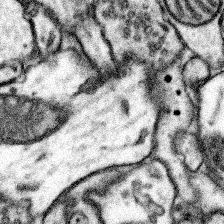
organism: Mouse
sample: Somatosensory cortex neuropil